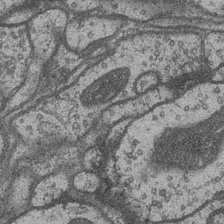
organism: Drosophila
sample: Optic medulla